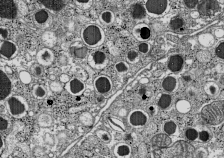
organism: C57BL Mouse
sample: Pancreatic islet